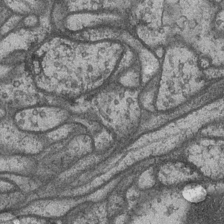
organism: Drosophila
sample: Optic medulla